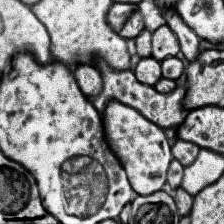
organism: Human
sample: Temporal Lobe